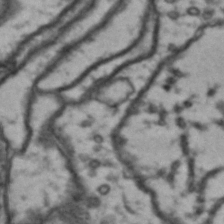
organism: Drosophila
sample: Brain